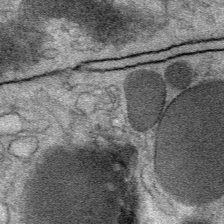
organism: Mouse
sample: Mouse Salivary gland